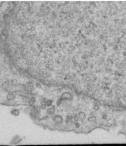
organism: Human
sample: Centriole in RPE cells